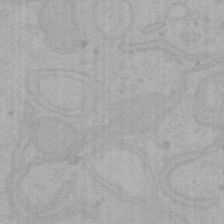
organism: Mouse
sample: Choroid plexus